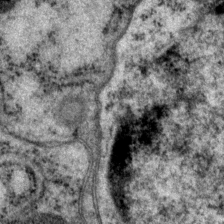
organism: P. pacificus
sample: Pharynx